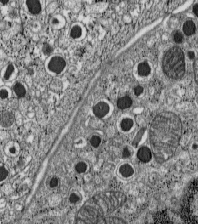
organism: C57BL Mouse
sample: Pancreatic islet